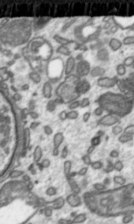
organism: Toxoplasma gondii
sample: Parasites in a vacuole inside a host cell